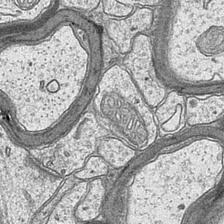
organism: Mouse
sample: CA1 Hippocampus